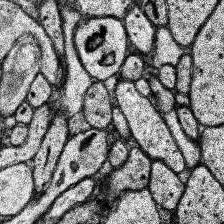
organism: Human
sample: Temporal Lobe